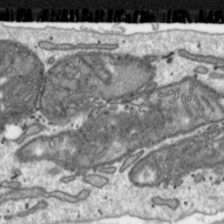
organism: Toxoplasma gondii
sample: Parasites in a vacuole inside a host cell